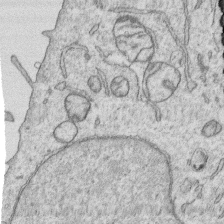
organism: Human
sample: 1205lu cells